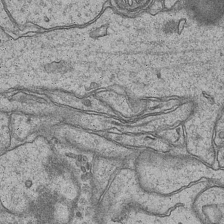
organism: Mouse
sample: CA1 Hippocampus